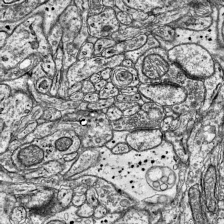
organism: Mouse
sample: Visual Cortex